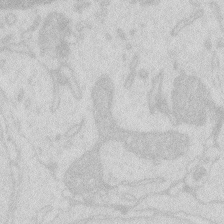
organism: Zebrafish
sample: Macrophage